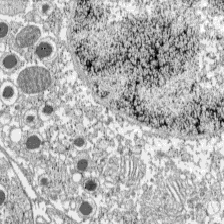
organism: C57BL Mouse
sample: Pancreatic islet